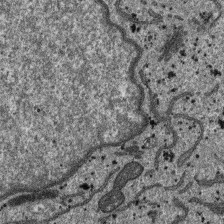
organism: Human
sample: Lung epithelial cells infected with SARS-CoV-2